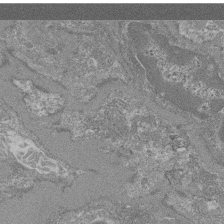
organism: Mouse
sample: Glomerulus